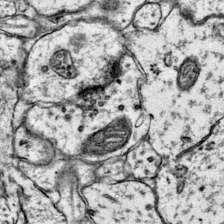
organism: Mouse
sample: Primary visual cortex